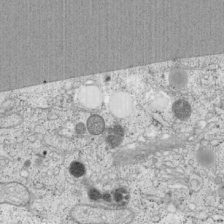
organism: African green monkey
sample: COS-7 cells